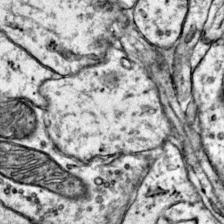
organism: Mouse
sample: Primary visual cortex